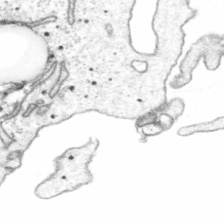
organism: Human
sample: HeLa cells